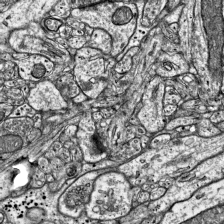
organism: Mouse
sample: Visual Cortex